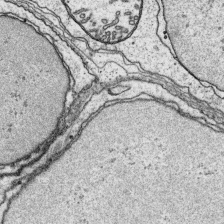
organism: Platynereis dumerilii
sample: Parapodia